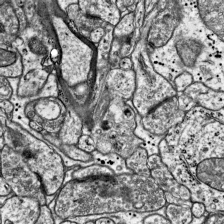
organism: Mouse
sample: Visual Cortex